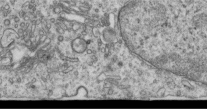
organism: Human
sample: Centriole in RPE cells